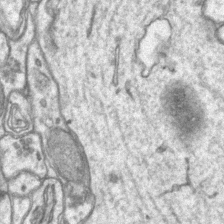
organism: Mouse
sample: CA1 Hippocampus